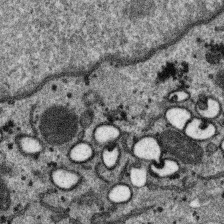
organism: Human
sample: Lung epithelial cells infected with SARS-CoV-2